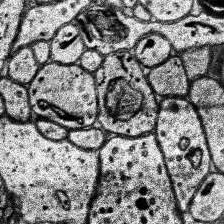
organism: Human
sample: Temporal Lobe